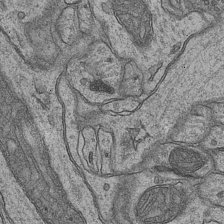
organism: Mouse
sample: CA1 Hippocampus